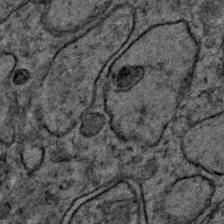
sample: Trachea